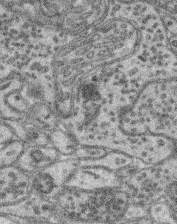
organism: Mouse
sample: Retina